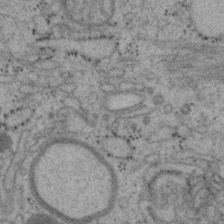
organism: Human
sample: HeLa cells